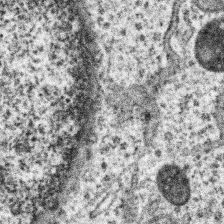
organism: Human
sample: HeLa cells